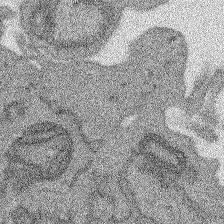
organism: Human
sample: HeLa cells